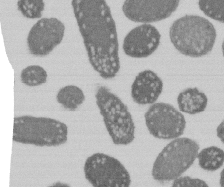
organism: E. coli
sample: Bacterial nucleoid